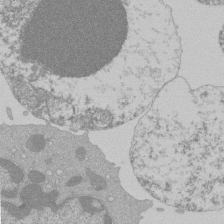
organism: Mouse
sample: Activated Pmel transgenic CD8+ T Cells